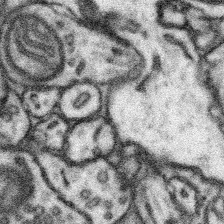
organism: Mouse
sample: Somatosensory cortex neuropil